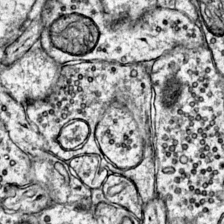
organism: Mouse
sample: Primary visual cortex